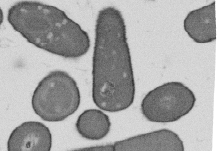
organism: B. subtilis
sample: Bacterial spore